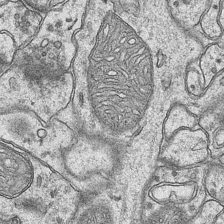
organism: Mouse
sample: CA1 Hippocampus